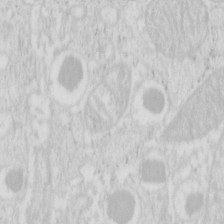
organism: Mouse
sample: Pancreas